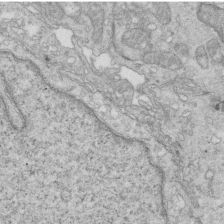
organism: Mouse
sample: Multiciliated cells